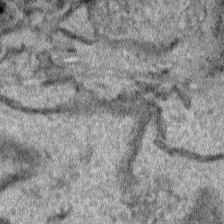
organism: Human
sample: Mitochondria in HCT116 cells